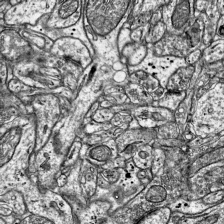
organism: Mouse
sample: Visual Cortex